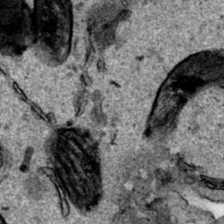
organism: Human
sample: Mitochondria in HCT116 cells